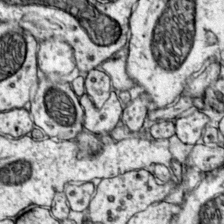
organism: Mouse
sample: Primary visual cortex